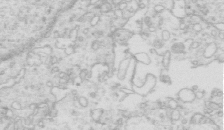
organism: Mouse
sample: Multiciliated cells